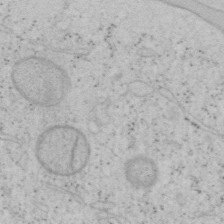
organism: Human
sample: HeLa cells